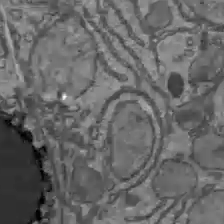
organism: C57BL Mouse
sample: Liver